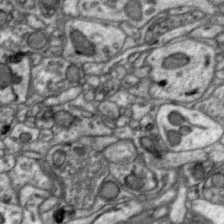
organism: Zebra finch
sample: Brain